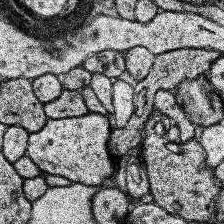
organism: Human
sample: Temporal Lobe